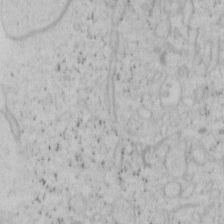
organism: Human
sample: HeLa cells